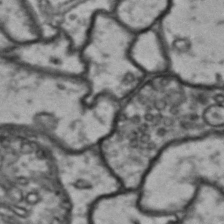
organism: Drosophila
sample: Brain